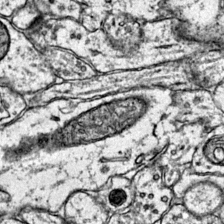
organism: Mouse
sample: Primary visual cortex